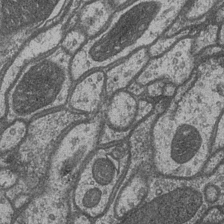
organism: Drosophila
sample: Optic medulla